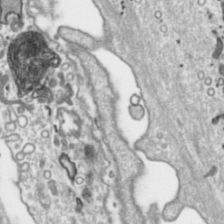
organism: Toxoplasma gondii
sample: Parasites in a vacuole inside a host cell